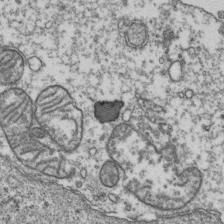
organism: Human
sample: Activated Jurkat CD4+ T cells